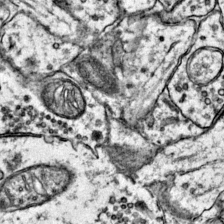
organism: Mouse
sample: Primary visual cortex